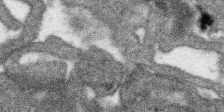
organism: Human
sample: Lung epithelial cells infected with SARS-CoV-2